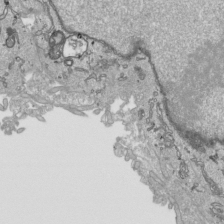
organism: Human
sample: Mitochondria in HCT116 cells